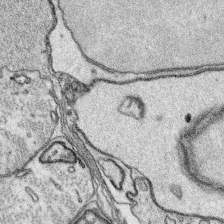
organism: Platynereis dumerilii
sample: Parapodia